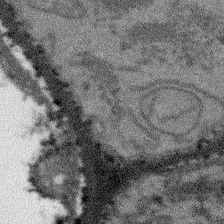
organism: Arabidopsis thaliana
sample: Root tip